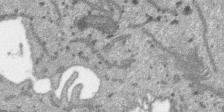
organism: Human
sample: Lung epithelial cells infected with SARS-CoV-2